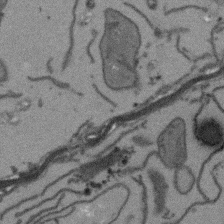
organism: Arabidopsis thaliana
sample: Root tip